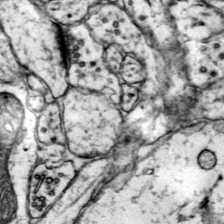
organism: Mouse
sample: Primary visual cortex